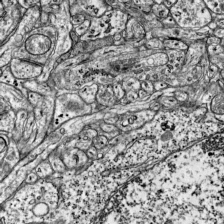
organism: Mouse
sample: Visual Cortex